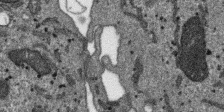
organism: Human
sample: Lung epithelial cells infected with SARS-CoV-2